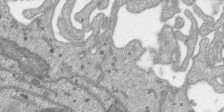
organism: Human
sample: Lung epithelial cells infected with SARS-CoV-2